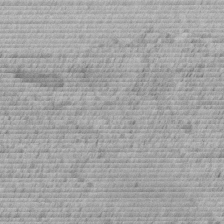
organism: C. elegans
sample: C. elegans embryo early stage